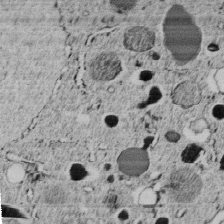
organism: C. elegans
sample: C. elegans embryo early stage